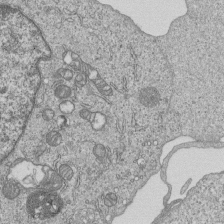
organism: Human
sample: MDA-MB-231 cells